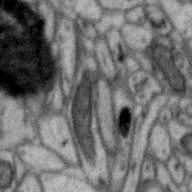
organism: Zebra finch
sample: Brain